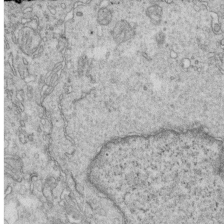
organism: Mouse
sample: Multiciliated cells